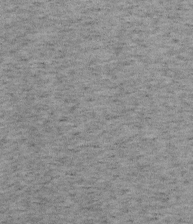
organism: Mouse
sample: OT-I killer T cells with ID8 ovarian cancer cells